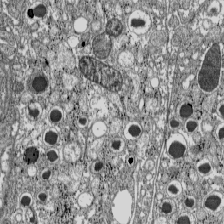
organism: C57BL Mouse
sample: Pancreatic islet